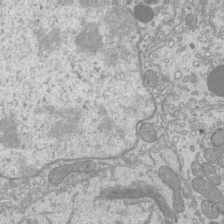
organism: Mouse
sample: Cilia; mouse epididymis